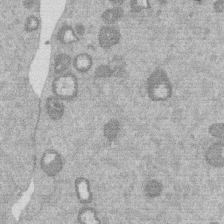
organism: Mouse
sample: Dividing mouse embryo 1 cell stage